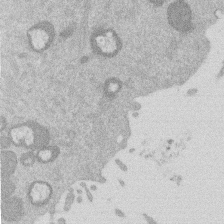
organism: Mouse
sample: Dividing mouse embryo 1 cell stage